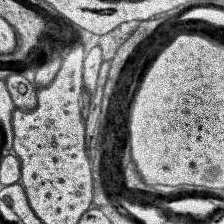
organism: Human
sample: Temporal Lobe